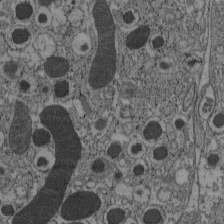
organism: C57BL Mouse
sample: Pancreatic islet